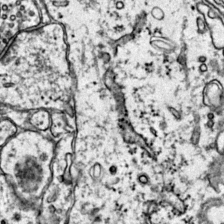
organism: Mouse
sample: Primary visual cortex